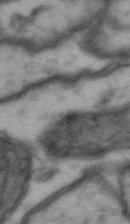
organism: Drosophila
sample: Brain